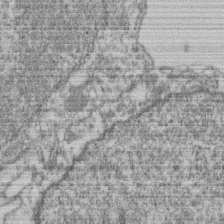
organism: Mouse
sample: T cell stromal cell synapse